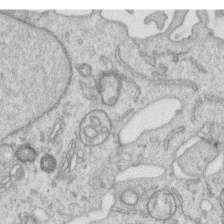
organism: Human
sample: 1205lu cells